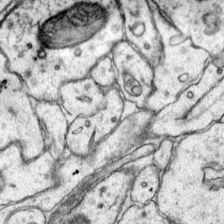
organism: Mouse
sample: Primary visual cortex